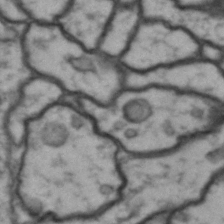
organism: Drosophila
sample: Brain